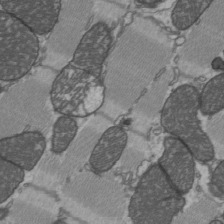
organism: C57BL Mouse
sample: Heart